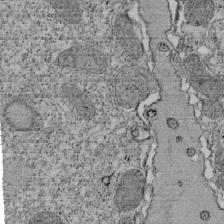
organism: Tetrahymena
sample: Cilia in tetrahymena